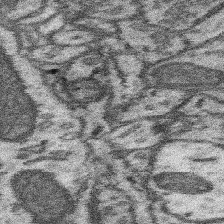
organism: Mouse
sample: Somatosensory cortex neuropil